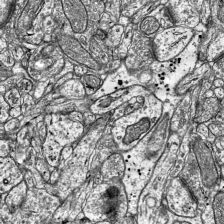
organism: Mouse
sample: Visual Cortex